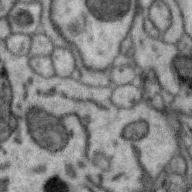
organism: Zebra finch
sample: Brain